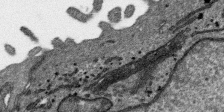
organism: Human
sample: Lung epithelial cells, uninfected (mock) control